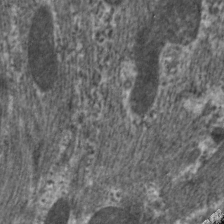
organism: C. elegans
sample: Pharynx